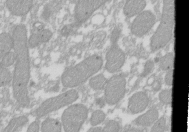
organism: Xenopus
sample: Cilia; centrioles in frog embryo cells